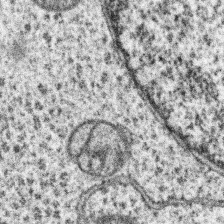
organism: Human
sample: HeLa cells